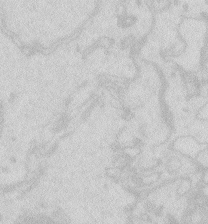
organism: Zebrafish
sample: Macrophage